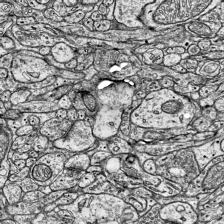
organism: Mouse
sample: Visual Cortex